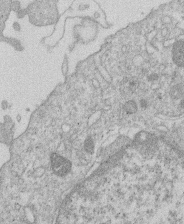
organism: Human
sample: Macrophage cells